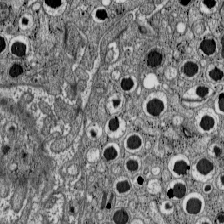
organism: C57BL Mouse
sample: Pancreatic islet